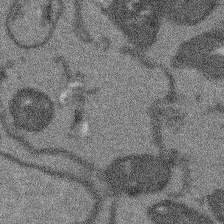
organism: Arabidopsis thaliana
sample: Root tip